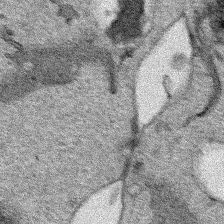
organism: Human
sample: Mitochondria in HCT116 cells